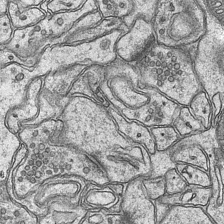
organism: Mouse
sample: CA1 Hippocampus